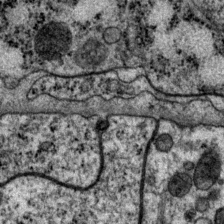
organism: P. pacificus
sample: Pharynx